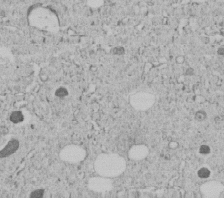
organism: C. elegans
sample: C. elegans embryo early stage